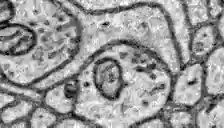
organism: Zebrafish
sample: Brain